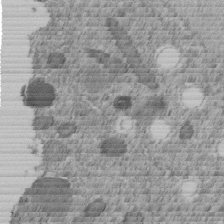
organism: C. elegans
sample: C. elegans embryo early stage